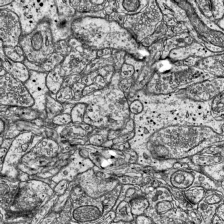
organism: Mouse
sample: Visual Cortex